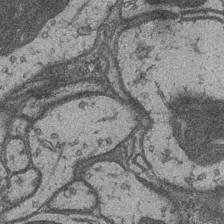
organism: Drosophila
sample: Optic medulla